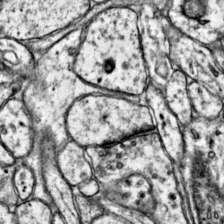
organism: Mouse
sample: Primary visual cortex